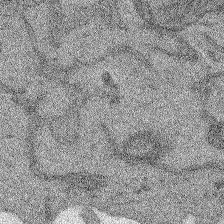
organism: Human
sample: HeLa cells